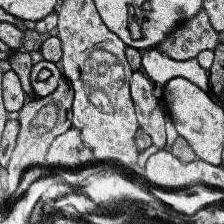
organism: Human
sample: Temporal Lobe